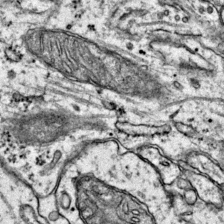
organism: Mouse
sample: Primary visual cortex